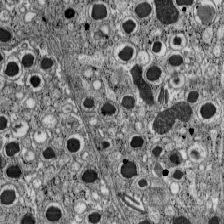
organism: C57BL Mouse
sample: Pancreatic islet